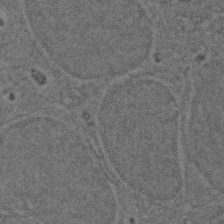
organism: Zebrafish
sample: Zebrafish embryo